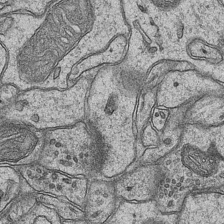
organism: Mouse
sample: CA1 Hippocampus